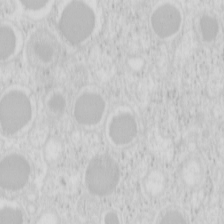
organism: Mouse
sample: Pancreas